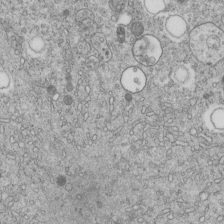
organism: C. elegans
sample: C. elegans embryo early stage